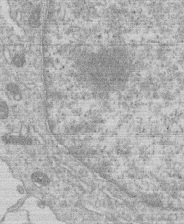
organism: Human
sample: Macrophage cells